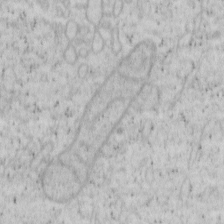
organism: Human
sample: HeLa cells